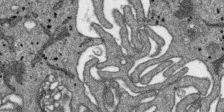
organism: Human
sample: Lung epithelial cells, uninfected (mock) control